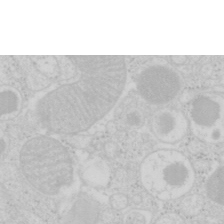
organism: Mouse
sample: Pancreas